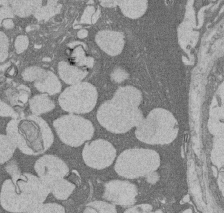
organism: Rat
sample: Salivary granule